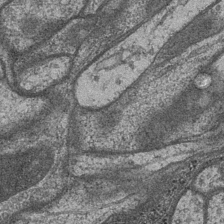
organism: Drosophila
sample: Optic medulla